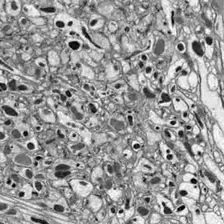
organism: Drosophila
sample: Optic lobe